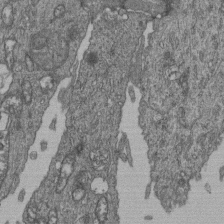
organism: Human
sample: Retinal organoid Rod and Cone cells